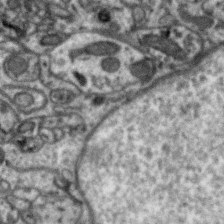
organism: Zebra finch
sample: Brain